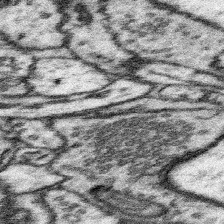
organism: Mouse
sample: Somatosensory cortex neuropil